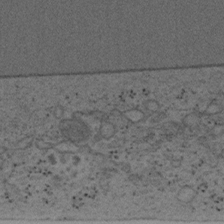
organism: Human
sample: HeLa cells